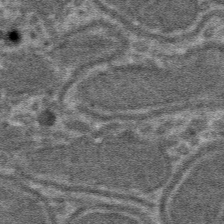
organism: Mouse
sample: Mouse hepatocytes